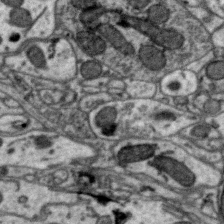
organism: Zebra finch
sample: Brain